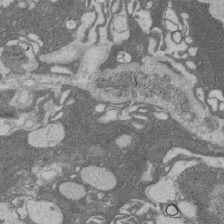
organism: Rat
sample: Salivary granule